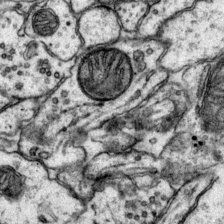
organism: Mouse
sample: Primary visual cortex